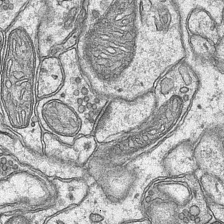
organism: Mouse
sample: CA1 Hippocampus